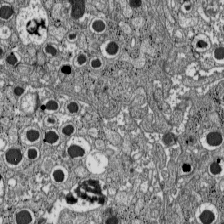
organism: C57BL Mouse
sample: Pancreatic islet